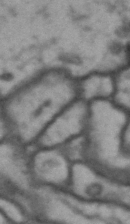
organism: Drosophila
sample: Brain